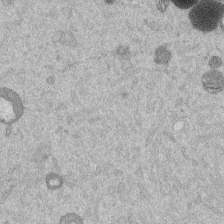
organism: Mouse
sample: Dividing mouse embryo 1 cell stage